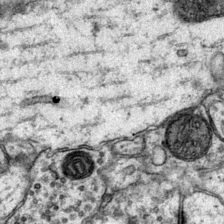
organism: Mouse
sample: Primary visual cortex